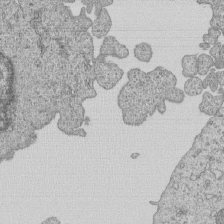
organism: Human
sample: MDA-MB-231 cells